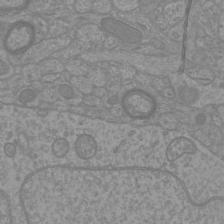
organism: Mouse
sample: Cortical neurons